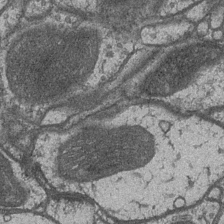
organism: Drosophila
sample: Optic medulla